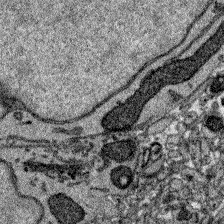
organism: Zebrafish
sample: Larval olfactory bulb